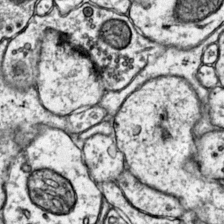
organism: Mouse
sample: Primary visual cortex